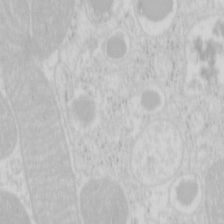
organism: Mouse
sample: Pancreas